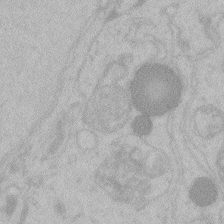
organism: Zebrafish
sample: Macrophage infected with Toxoplasma gondii